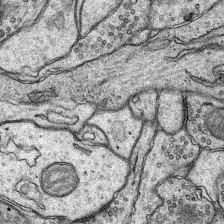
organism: Rat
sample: Hippocampus